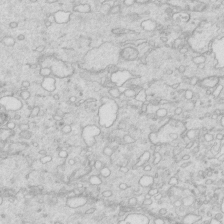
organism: Mouse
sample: Multiciliated cells